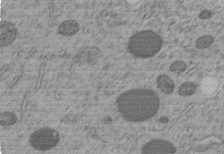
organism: C. elegans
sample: C. elegans embryo early stage